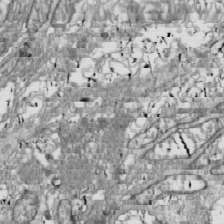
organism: Drosophila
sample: Cell division; meiosis; drosophila spermatocytes